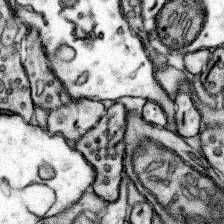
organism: Mouse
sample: Somatosensory cortex neuropil